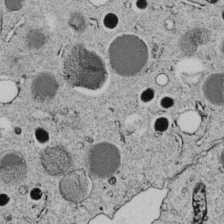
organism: C. elegans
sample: C. elegans embryo early stage